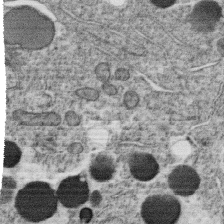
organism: C. elegans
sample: C. elegans oocyte; sperm cells